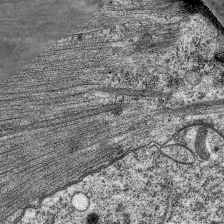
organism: C. elegans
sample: Pharynx